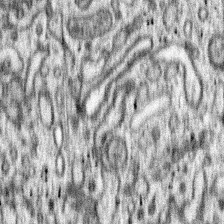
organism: Human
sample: HeLa cells